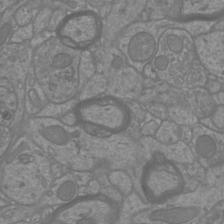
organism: Mouse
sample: Cortical neurons